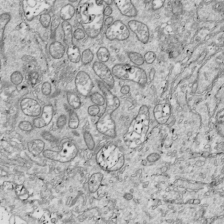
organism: Drosophila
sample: Cell division; meiosis; drosophila spermatocytes